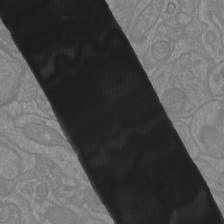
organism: Mouse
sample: Cortical neurons